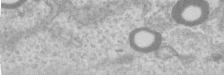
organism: Human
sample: Centriole in RPE cells